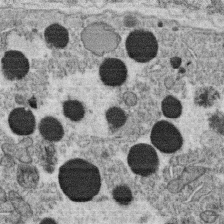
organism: C. elegans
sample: C. elegans oocyte; sperm cells